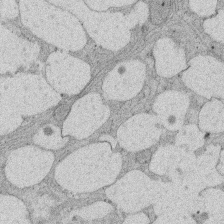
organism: Rat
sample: Salivary granule